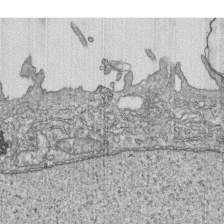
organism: Human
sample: HeLa cell HIV synapse